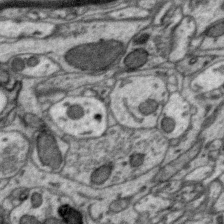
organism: Zebra finch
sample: Brain